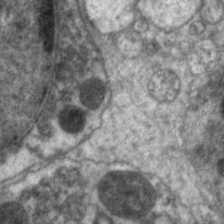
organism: C. elegans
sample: Pharynx